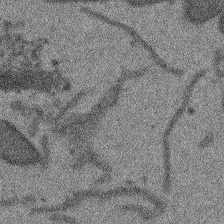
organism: Arabidopsis thaliana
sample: Root tip